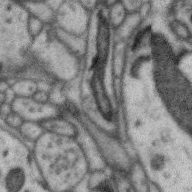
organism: Zebra finch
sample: Brain